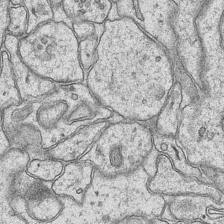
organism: Mouse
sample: CA1 Hippocampus